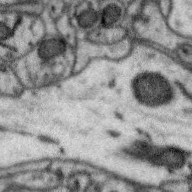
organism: Zebra finch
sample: Brain